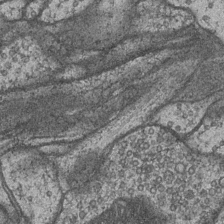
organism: Drosophila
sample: Optic medulla